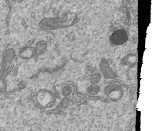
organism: Human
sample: MDA-MB-231 cells